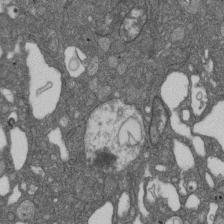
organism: Drosophila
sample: Nephrocyte